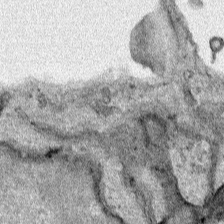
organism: Human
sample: Mitochondria in HCT116 cells